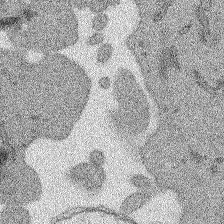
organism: Human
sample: HeLa cells